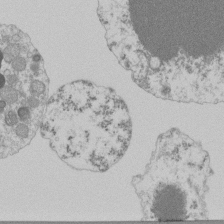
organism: Mouse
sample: Activated Pmel transgenic CD8+ T Cells